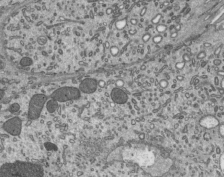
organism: Mouse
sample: Mouse epididymis efferent ductule cilia